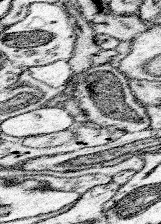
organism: Mouse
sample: Somatosensory cortex neuropil